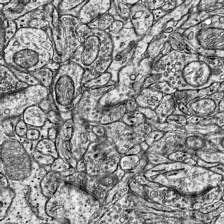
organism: Mouse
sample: Visual Cortex